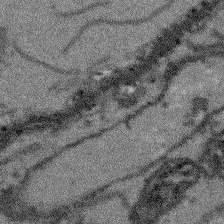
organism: Arabidopsis thaliana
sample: Root tip